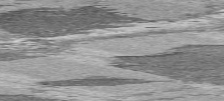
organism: C57BL Mouse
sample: Heart